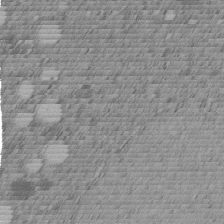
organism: C. elegans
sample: C. elegans embryo early stage